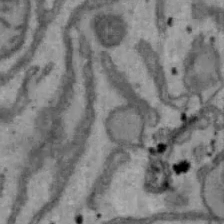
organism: Mouse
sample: Liver